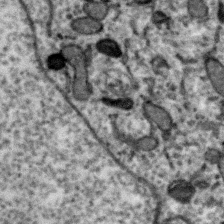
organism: Zebra finch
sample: Brain